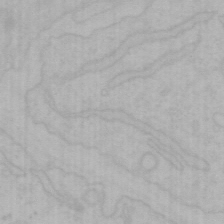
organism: Mouse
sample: Choroid plexus